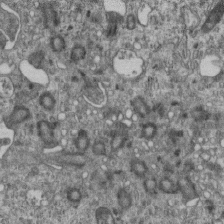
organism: Mouse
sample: Centriole in ependymal cells